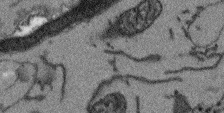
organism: Arabidopsis thaliana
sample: Root tip